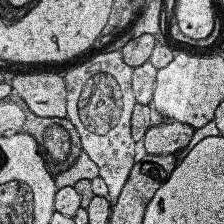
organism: Human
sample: Temporal Lobe